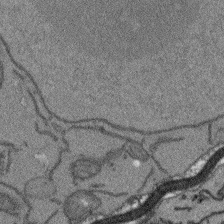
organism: Arabidopsis thaliana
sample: Root tip